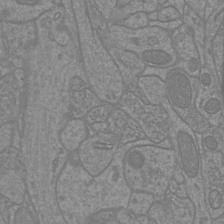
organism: Mouse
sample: Cortical neurons